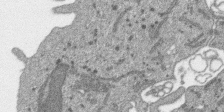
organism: Human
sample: Lung epithelial cells infected with SARS-CoV-2